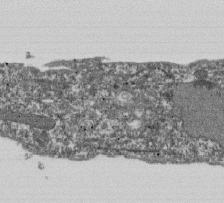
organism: Dictyostelium discoideum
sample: Dictyostelium multivesicular bodies